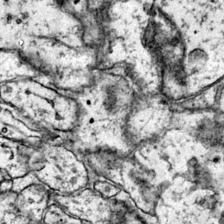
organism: Mouse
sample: Primary visual cortex